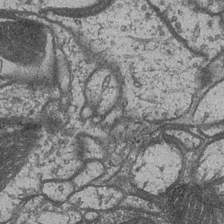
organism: Drosophila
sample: Optic medulla